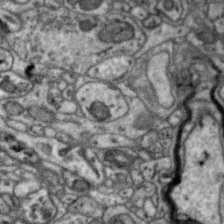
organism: Zebra finch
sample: Brain